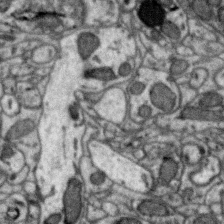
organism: Zebra finch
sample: Brain